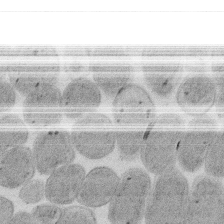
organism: E. coli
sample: Bacterial nucleoid